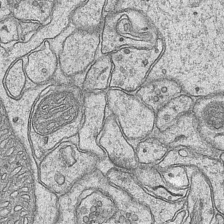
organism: Mouse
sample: CA1 Hippocampus